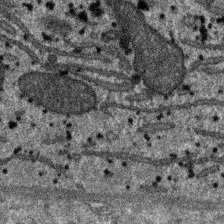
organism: Human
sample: Lung epithelial cells infected with SARS-CoV-2